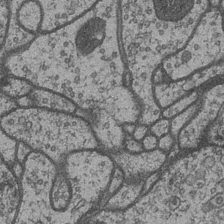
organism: Drosophila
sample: Optic medulla